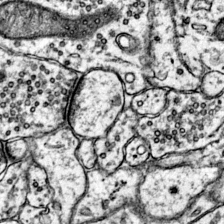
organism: Mouse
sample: Primary visual cortex